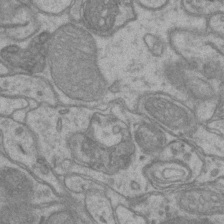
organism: Mouse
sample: CA1 Hippocampus